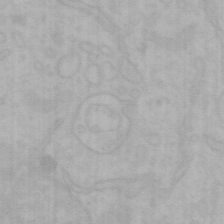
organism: Mouse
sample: Choroid plexus